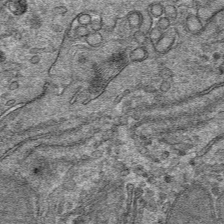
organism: Mouse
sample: Mouse hepatocytes